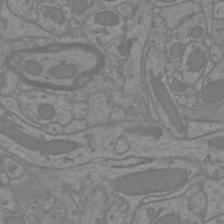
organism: Mouse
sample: Cortical neurons